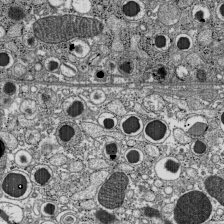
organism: C57BL Mouse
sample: Pancreatic islet